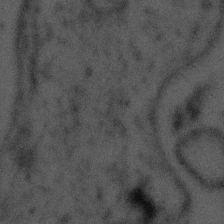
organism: Tuwongella immobilis